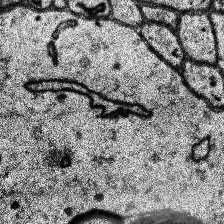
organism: Human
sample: Temporal Lobe